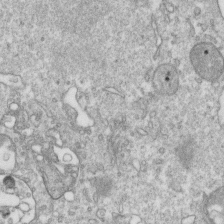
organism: Mouse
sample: Activated OT-1 CD8+ T cells